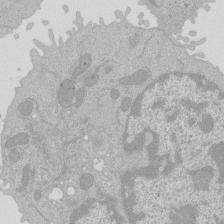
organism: Mouse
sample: Activated Pmel transgenic CD8+ T Cells